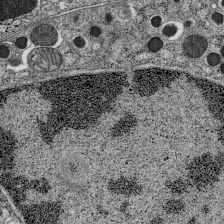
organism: C57BL Mouse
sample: Pancreatic islet